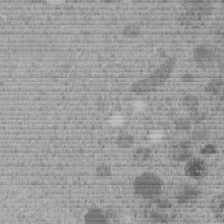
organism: C. elegans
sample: C. elegans embryo early stage